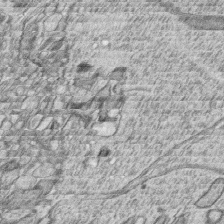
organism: Zebrafish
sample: synaptic ribbons in rod cells and cone cells